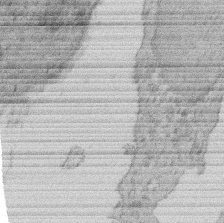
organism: Rat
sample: Salivary granule